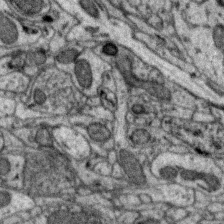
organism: Zebra finch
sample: Brain